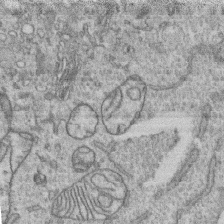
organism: Human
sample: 1205lu cells